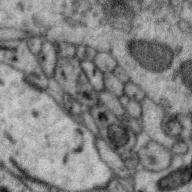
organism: Zebra finch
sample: Brain